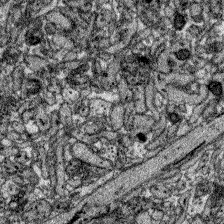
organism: Zebrafish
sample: Larval olfactory bulb